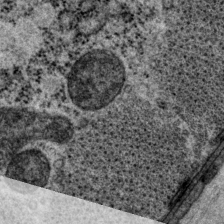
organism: P. pacificus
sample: Pharynx